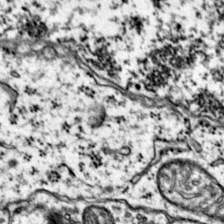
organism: Mouse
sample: Primary visual cortex